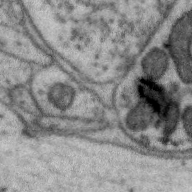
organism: Zebra finch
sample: Brain